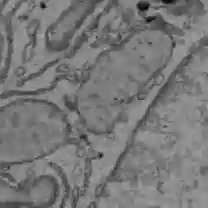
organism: C57BL Mouse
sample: Liver